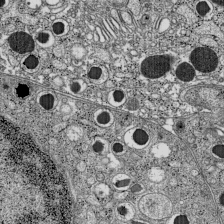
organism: C57BL Mouse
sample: Pancreatic islet